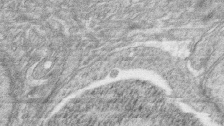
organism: Zebrafish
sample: synaptic ribbons in rod cells and cone cells